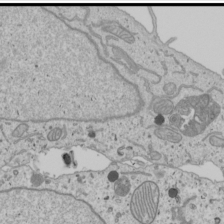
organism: Human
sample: Mitochondria in U2OS cells